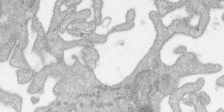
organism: Human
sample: Lung epithelial cells infected with SARS-CoV-2